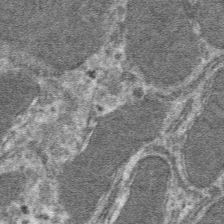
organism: Mouse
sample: Mouse hepatocytes